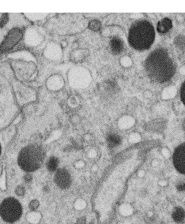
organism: C. elegans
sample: C. elegans oocyte; sperm cells